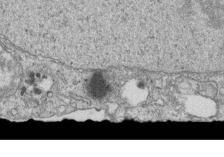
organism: Human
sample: HeLa cell HIV synapse